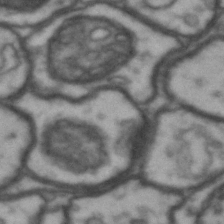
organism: Drosophila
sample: Brain